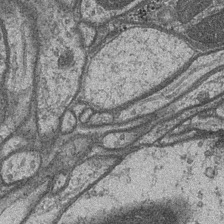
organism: Drosophila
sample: Optic medulla